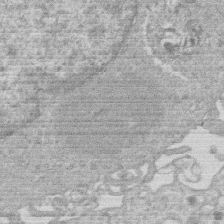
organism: Human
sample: Macrophage cells